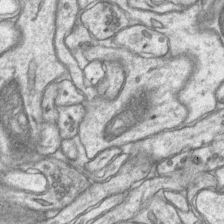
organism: Mouse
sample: CA1 Hippocampus